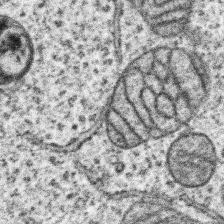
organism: Human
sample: HeLa cells